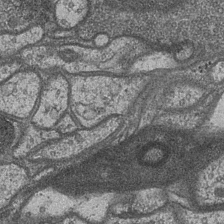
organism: Drosophila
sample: Optic medulla